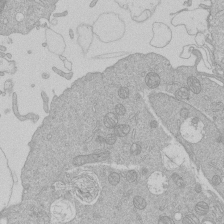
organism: Human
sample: Macrophage cells